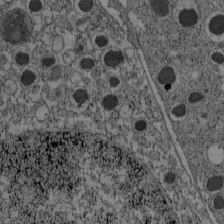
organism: C57BL Mouse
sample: Pancreatic islet